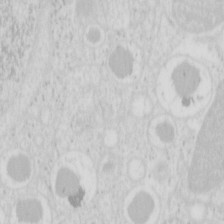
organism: Mouse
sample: Pancreas